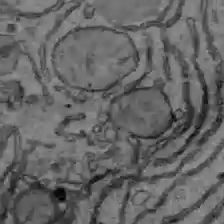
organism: C57BL Mouse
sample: Liver